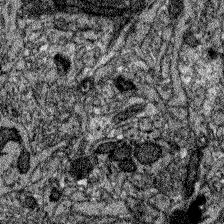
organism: Zebrafish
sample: Larval olfactory bulb